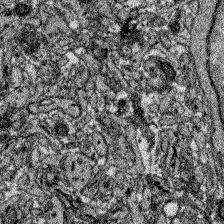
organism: Zebrafish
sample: Larval olfactory bulb